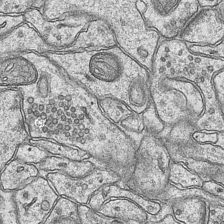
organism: Mouse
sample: CA1 Hippocampus